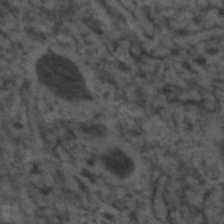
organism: C. elegans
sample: C. elegans embryo